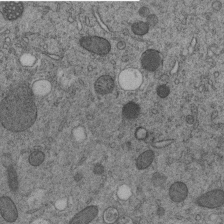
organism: C. elegans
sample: C. elegans embryo early stage